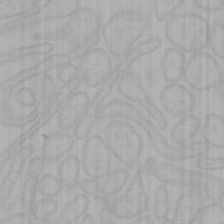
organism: Mouse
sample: Choroid plexus